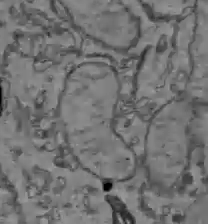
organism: C57BL Mouse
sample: Liver